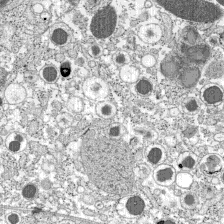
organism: C57BL Mouse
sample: Pancreatic islet